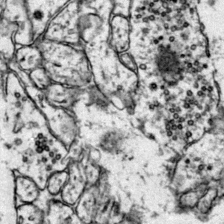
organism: Mouse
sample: Primary visual cortex